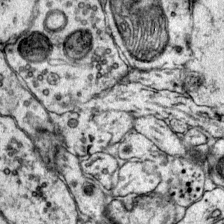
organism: Mouse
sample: Primary visual cortex